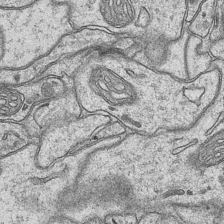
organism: Mouse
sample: CA1 Hippocampus